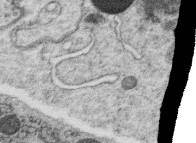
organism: C. elegans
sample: C. elegans oocyte; sperm cells